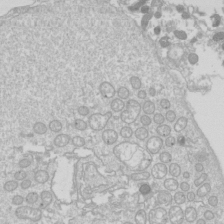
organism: Drosophila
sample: Cell division; meiosis; drosophila spermatocytes